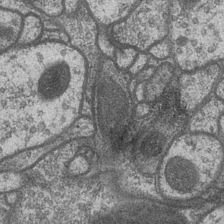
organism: Drosophila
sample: Optic medulla